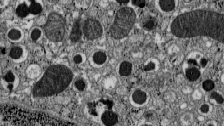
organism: C57BL Mouse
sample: Pancreatic islet